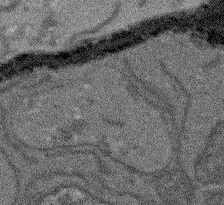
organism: Arabidopsis thaliana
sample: Root tip